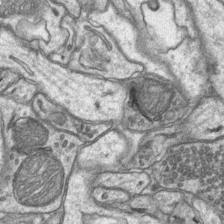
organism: Mouse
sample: CA1 Hippocampus